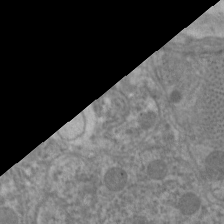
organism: C. elegans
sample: Pharynx